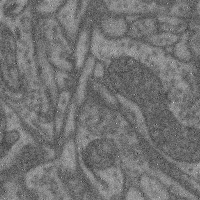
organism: Mouse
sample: Cerebral cortex